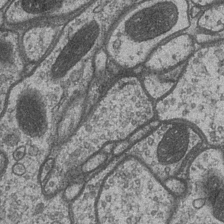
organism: Drosophila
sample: Optic medulla